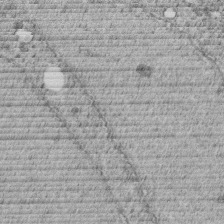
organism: C. elegans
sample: C. elegans embryo early stage